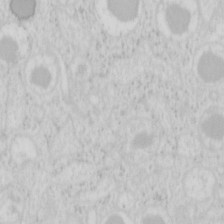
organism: Mouse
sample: Pancreas